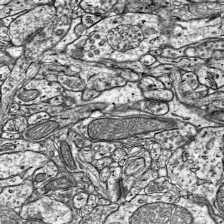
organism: Mouse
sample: Visual Cortex